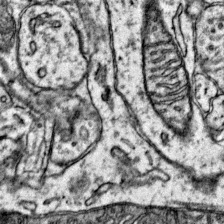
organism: Mouse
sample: Primary visual cortex